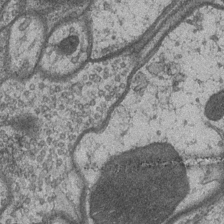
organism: Drosophila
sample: Optic medulla